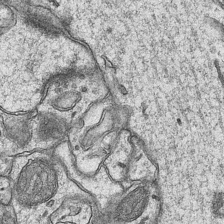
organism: Mouse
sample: CA1 Hippocampus